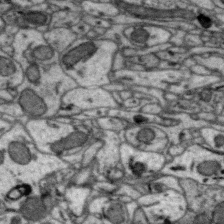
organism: Zebra finch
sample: Brain